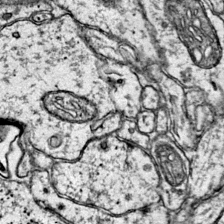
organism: Mouse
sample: Primary visual cortex